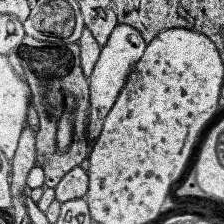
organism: Human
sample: Temporal Lobe